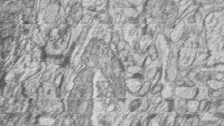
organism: Zebrafish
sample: synaptic ribbons in rod cells and cone cells